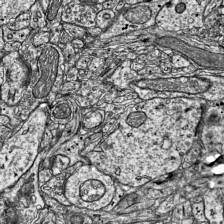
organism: Mouse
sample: Visual Cortex